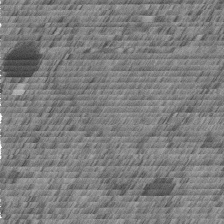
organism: C. elegans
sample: C. elegans embryo early stage